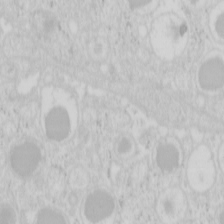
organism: Mouse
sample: Pancreas